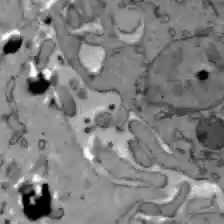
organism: C57BL Mouse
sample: Liver